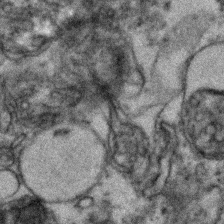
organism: Zebrafish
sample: Zebrafish embryo